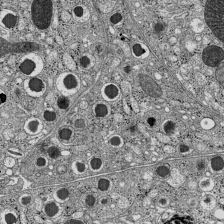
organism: C57BL Mouse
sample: Pancreatic islet